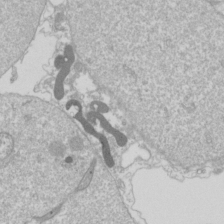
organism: Drosophila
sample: Cell division; meiosis; drosophila spermatocytes